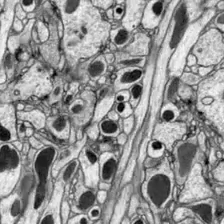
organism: Drosophila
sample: Optic lobe